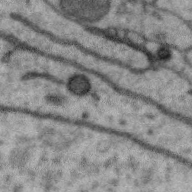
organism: Zebra finch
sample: Brain